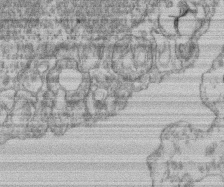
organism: Mouse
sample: T cell stromal cell synapse